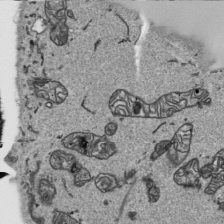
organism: Human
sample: Mitochondria in HCT116 cells